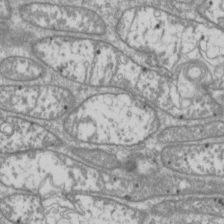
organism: Drosophila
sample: Cell division; meiosis; drosophila spermatocytes